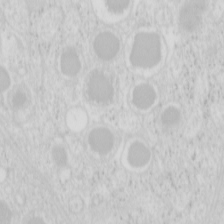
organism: Mouse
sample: Pancreas